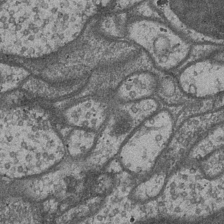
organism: Drosophila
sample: Optic medulla